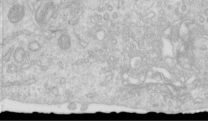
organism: Human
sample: Centriole in RPE cells